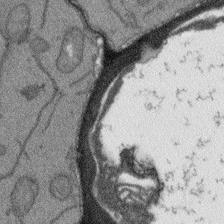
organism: Arabidopsis thaliana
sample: Root tip